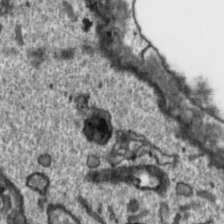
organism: Toxoplasma gondii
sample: Parasites in a vacuole inside a host cell